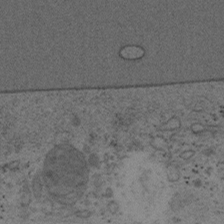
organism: Human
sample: HeLa cells